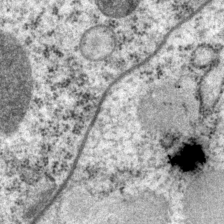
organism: P. pacificus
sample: Pharynx